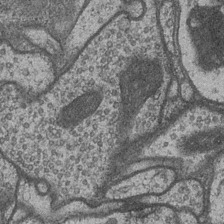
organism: Drosophila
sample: Optic medulla